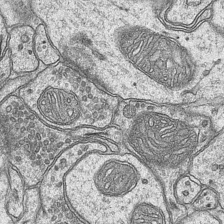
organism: Mouse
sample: CA1 Hippocampus